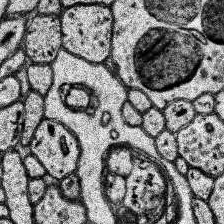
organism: Human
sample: Temporal Lobe